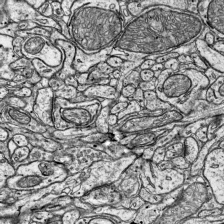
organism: Mouse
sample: Visual Cortex